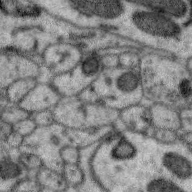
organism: Zebra finch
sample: Brain